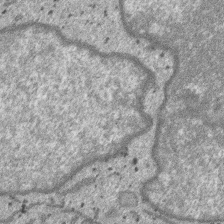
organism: Human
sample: Lung epithelial cells infected with SARS-CoV-2